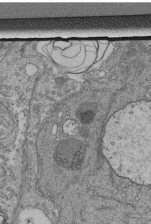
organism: Human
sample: Retinal organoid Rod and Cone cells